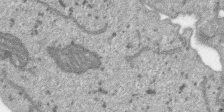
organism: Human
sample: Lung epithelial cells infected with SARS-CoV-2